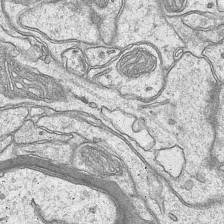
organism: Mouse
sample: CA1 Hippocampus